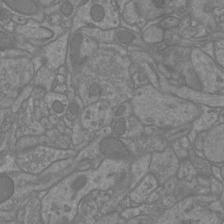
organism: Mouse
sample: Cortical neurons